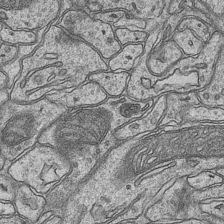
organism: Mouse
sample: CA1 Hippocampus